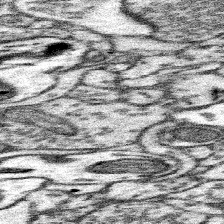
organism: Mouse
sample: Somatosensory cortex neuropil